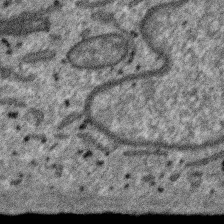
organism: Human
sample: Lung epithelial cells infected with SARS-CoV-2